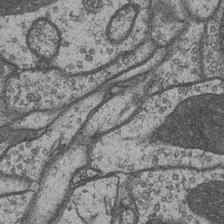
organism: Drosophila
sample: Optic medulla